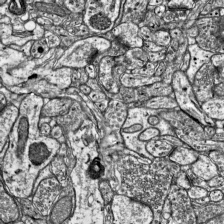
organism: Mouse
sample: Visual Cortex